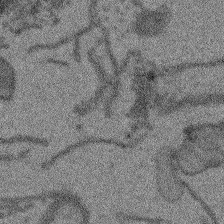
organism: Arabidopsis thaliana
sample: Root tip